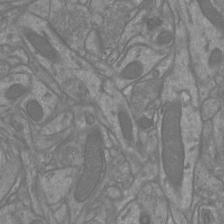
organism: Mouse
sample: Cortical neurons